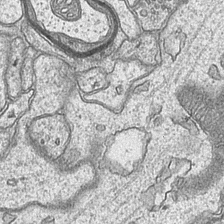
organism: Mouse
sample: CA1 Hippocampus